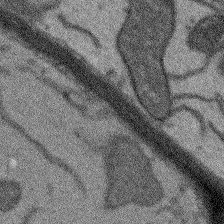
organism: Arabidopsis thaliana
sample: Root tip